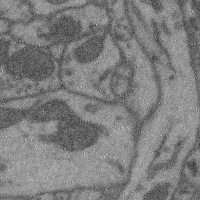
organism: Mouse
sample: Cerebral cortex